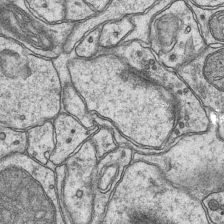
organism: Mouse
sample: CA1 Hippocampus